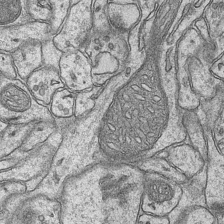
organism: Mouse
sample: CA1 Hippocampus